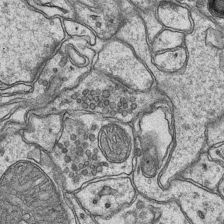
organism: Mouse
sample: CA1 Hippocampus